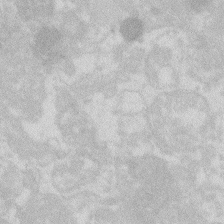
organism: Zebrafish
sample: Macrophage